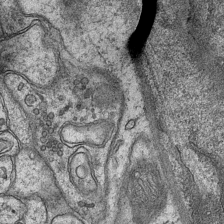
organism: Mouse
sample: CA1 Hippocampus